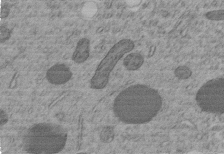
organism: C. elegans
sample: C. elegans embryo early stage